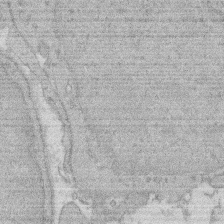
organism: Rat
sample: Salivary granule